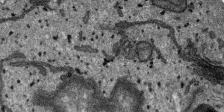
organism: Human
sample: Lung epithelial cells, uninfected (mock) control